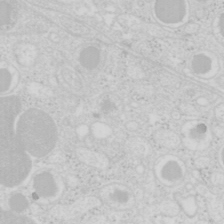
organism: Mouse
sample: Pancreas